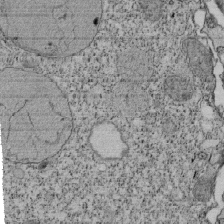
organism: Tetrahymena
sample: Cilia in tetrahymena